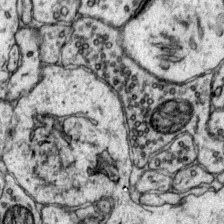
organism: Mouse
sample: Primary visual cortex